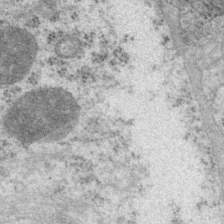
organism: P. pacificus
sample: Pharynx